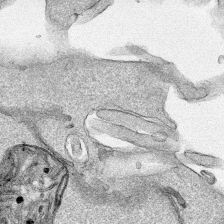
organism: Human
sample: Mitochondria in HCT116 cells